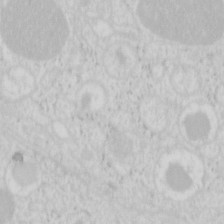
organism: Mouse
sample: Pancreas